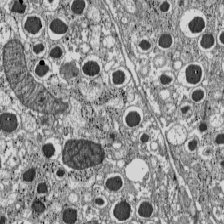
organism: C57BL Mouse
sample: Pancreatic islet